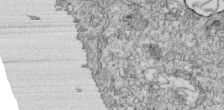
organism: Human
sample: HeLa cell HIV synapse